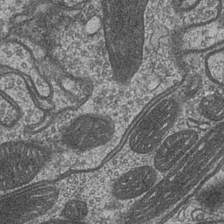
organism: Drosophila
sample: Optic medulla